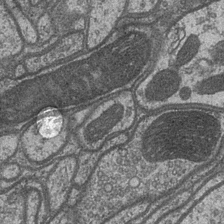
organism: Drosophila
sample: Optic medulla